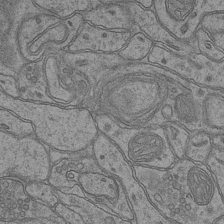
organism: Mouse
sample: CA1 Hippocampus